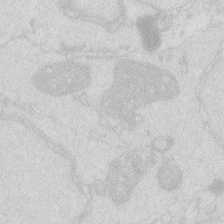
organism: Zebrafish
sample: Macrophage